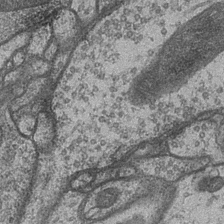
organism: Drosophila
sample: Optic medulla